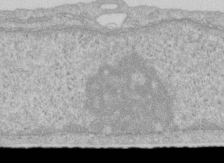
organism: Human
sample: Centriole in RPE cells